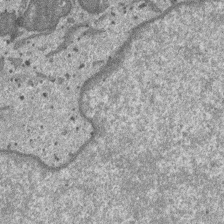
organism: Human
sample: Lung epithelial cells infected with SARS-CoV-2